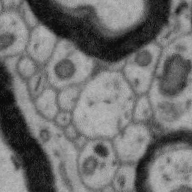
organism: Zebra finch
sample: Brain